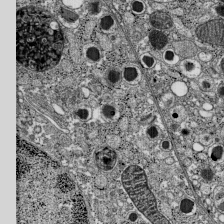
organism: C57BL Mouse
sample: Pancreatic islet